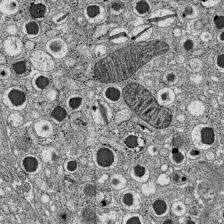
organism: C57BL Mouse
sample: Pancreatic islet